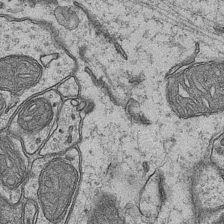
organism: Mouse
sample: CA1 Hippocampus